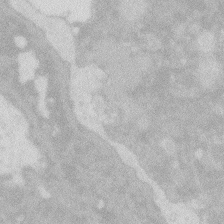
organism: Zebrafish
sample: Macrophage